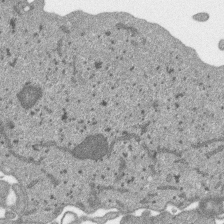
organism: Human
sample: Lung epithelial cells infected with SARS-CoV-2